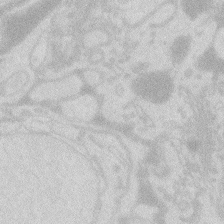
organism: Zebrafish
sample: Macrophage